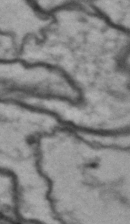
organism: Drosophila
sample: Brain